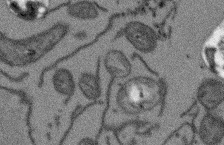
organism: Arabidopsis thaliana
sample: Root tip